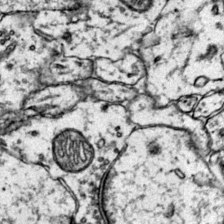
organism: Mouse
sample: Primary visual cortex